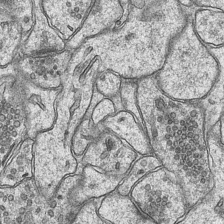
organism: Mouse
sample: CA1 Hippocampus